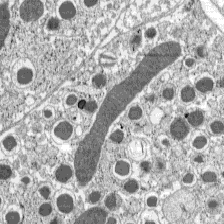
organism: C57BL Mouse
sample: Pancreatic islet